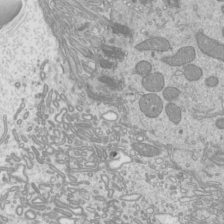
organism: Mouse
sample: Cilia; mouse epididymis